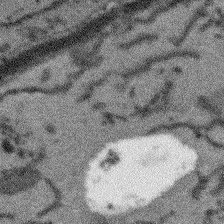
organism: Arabidopsis thaliana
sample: Root tip